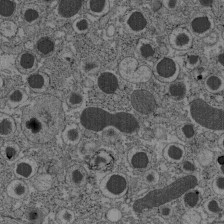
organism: C57BL Mouse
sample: Pancreatic islet